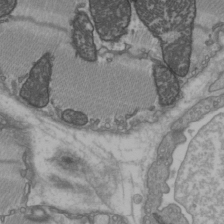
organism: C57BL Mouse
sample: Heart